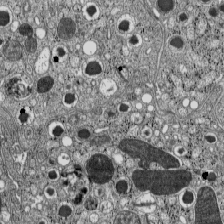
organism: C57BL Mouse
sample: Pancreatic islet